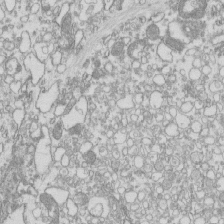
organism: Mouse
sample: Macrophages